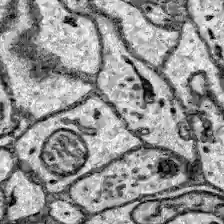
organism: Zebrafish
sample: Brain